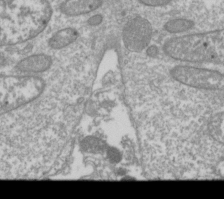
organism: Drosophila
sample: Cell division; meiosis; drosophila spermatocytes